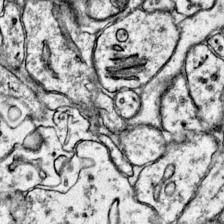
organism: Mouse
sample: Primary visual cortex